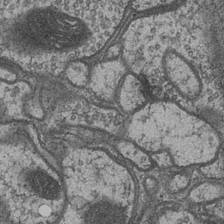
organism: Drosophila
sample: Optic medulla